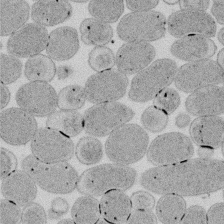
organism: E. coli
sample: Bacterial nucleoid